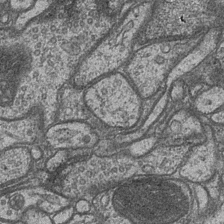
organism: Drosophila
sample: Optic medulla